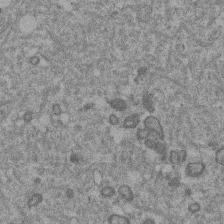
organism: Mouse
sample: Dividing mouse embryo 1 cell stage